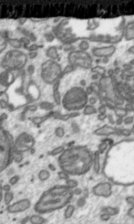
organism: Toxoplasma gondii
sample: Parasites in a vacuole inside a host cell